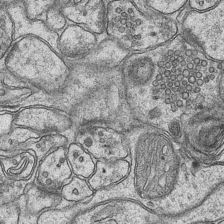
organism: Mouse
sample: CA1 Hippocampus